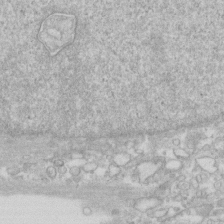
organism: Human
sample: Fibroblast cells